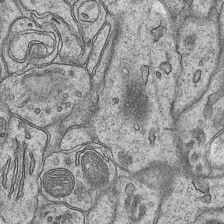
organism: Mouse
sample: CA1 Hippocampus